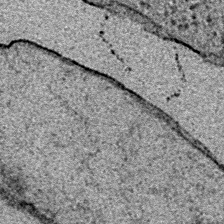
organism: E. coli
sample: E. Coli Bacteria